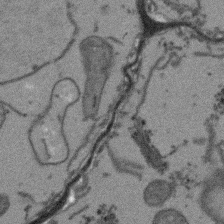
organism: Arabidopsis thaliana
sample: Root tip